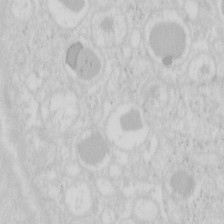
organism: Mouse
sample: Pancreas